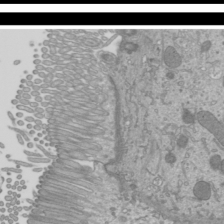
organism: Mouse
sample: Cilia; mouse epididymis